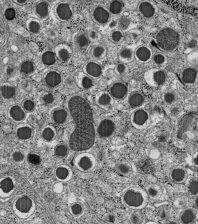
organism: C57BL Mouse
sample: Pancreatic islet